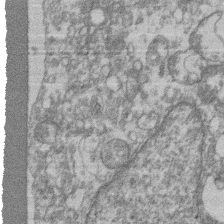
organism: Mouse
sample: T cell stromal cell synapse